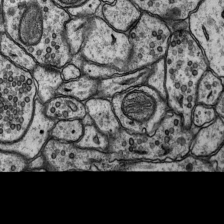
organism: Rat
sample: Hippocampus